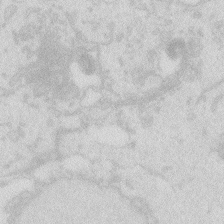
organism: Zebrafish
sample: Macrophage